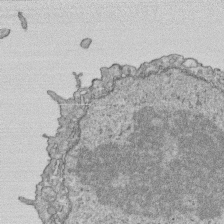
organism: Human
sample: HeLa cell HIV synapse